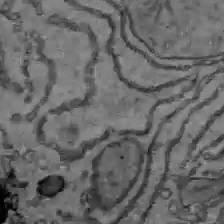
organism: C57BL Mouse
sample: Liver